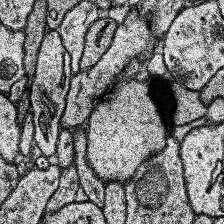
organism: Human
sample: Temporal Lobe